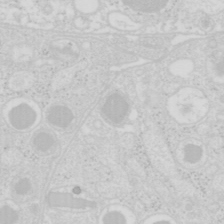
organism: Mouse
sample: Pancreas